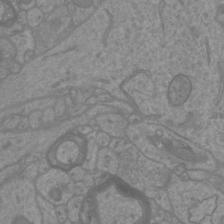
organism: Mouse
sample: Cortical neurons